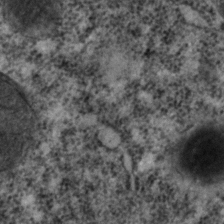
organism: C. elegans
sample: C. elegans embryo